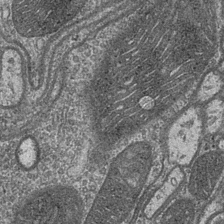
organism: Drosophila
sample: Optic medulla